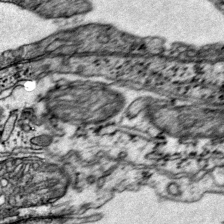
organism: Mouse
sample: Primary visual cortex